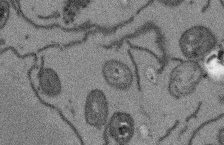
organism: Arabidopsis thaliana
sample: Root tip